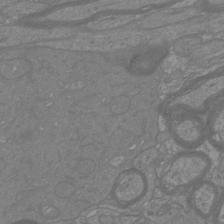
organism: Mouse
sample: Cortical neurons